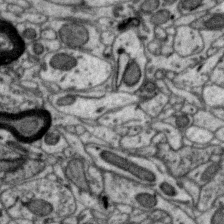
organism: Zebra finch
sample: Brain